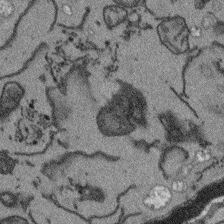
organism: Arabidopsis thaliana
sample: Root tip